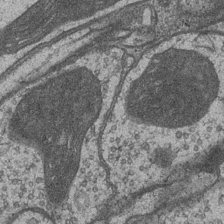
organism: Drosophila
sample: Optic medulla